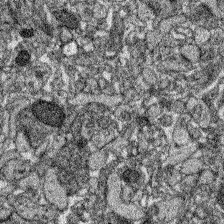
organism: Zebrafish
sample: Larval olfactory bulb